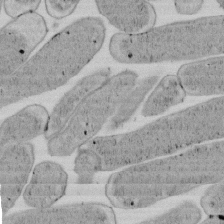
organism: E. coli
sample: Bacterial nucleoid